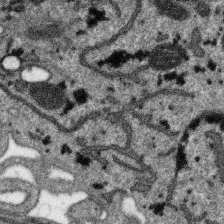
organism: Human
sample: Lung epithelial cells infected with SARS-CoV-2